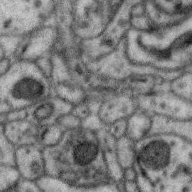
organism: Zebra finch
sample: Brain